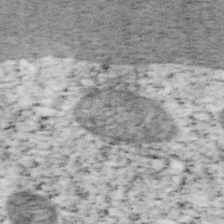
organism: Mouse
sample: OT-I killer T cells with ID8 ovarian cancer cells